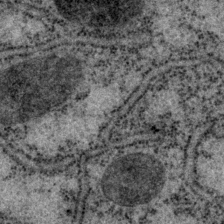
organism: P. pacificus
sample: Pharynx